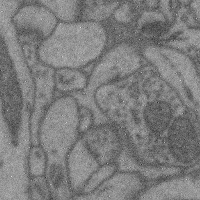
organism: Mouse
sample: Cerebral cortex